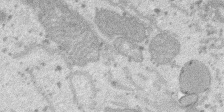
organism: Human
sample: Lung epithelial cells infected with SARS-CoV-2